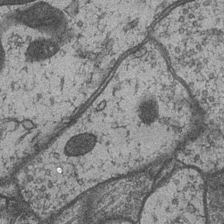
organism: Drosophila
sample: Optic medulla